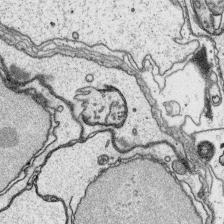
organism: Platynereis dumerilii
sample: Parapodia